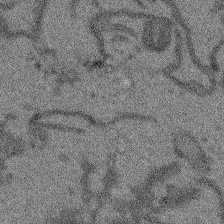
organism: Arabidopsis thaliana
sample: Root tip